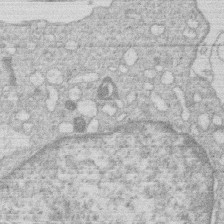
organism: Human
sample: Macrophage cells